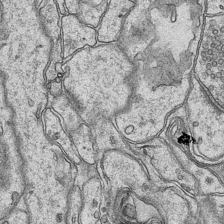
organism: Mouse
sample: CA1 Hippocampus